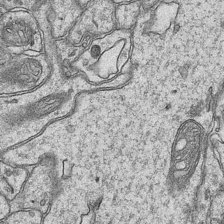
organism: Mouse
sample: CA1 Hippocampus